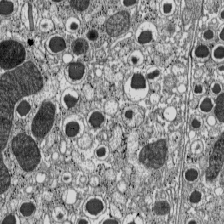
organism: C57BL Mouse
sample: Pancreatic islet